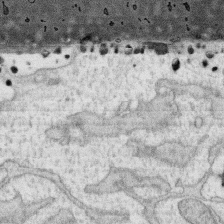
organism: Human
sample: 1205lu cells